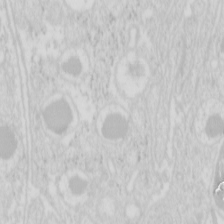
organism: Mouse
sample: Pancreas